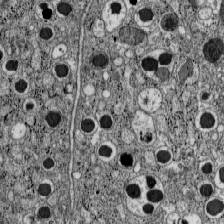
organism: C57BL Mouse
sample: Pancreatic islet